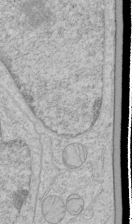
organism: Human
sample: Mitochondria in HCT116 cells